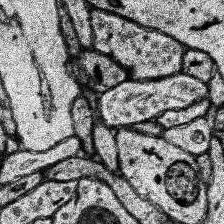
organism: Human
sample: Temporal Lobe